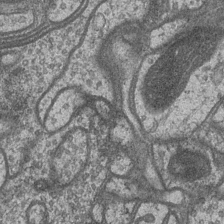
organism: Drosophila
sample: Optic medulla